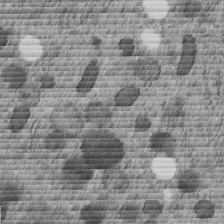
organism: C. elegans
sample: C. elegans embryo early stage